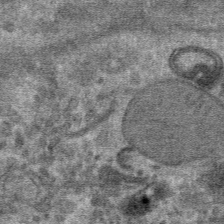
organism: Mouse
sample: Mouse hepatocytes